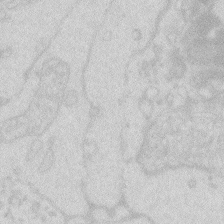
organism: Zebrafish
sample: Macrophage